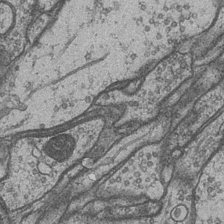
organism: Drosophila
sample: Optic medulla